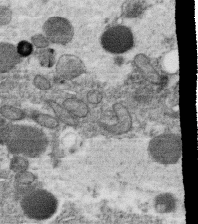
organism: C. elegans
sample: C. elegans oocyte; sperm cells